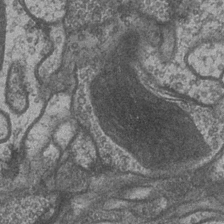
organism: Drosophila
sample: Optic medulla